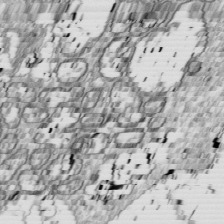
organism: Drosophila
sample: Cell division; meiosis; drosophila spermatocytes